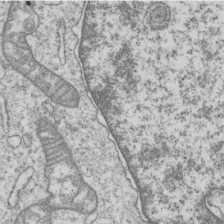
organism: Human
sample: MDA-MB-231 cells